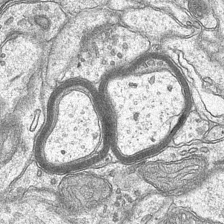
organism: Mouse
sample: CA1 Hippocampus